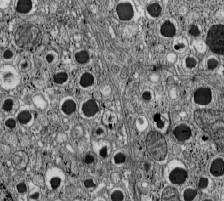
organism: C57BL Mouse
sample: Pancreatic islet